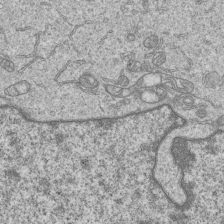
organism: Human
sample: MDA-MB-231 cells